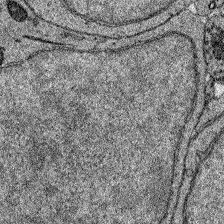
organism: Zebrafish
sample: Larval olfactory bulb